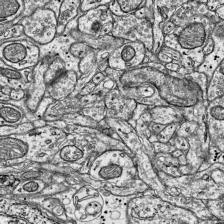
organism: Mouse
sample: Visual Cortex